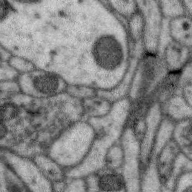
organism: Zebra finch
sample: Brain